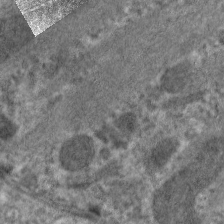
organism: C. elegans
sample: Pharynx